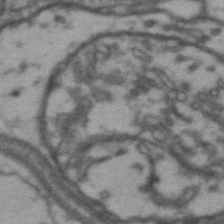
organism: Drosophila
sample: Brain